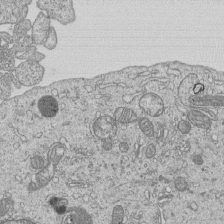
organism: Human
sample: MDA-MB-231 cells